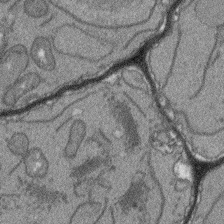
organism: Arabidopsis thaliana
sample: Root tip